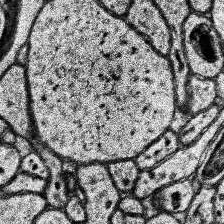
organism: Human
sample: Temporal Lobe